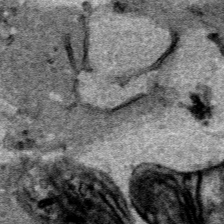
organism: Human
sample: Mitochondria in HCT116 cells